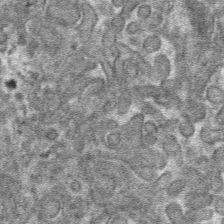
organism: Mouse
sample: Mouse hepatocytes